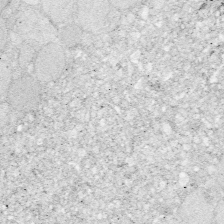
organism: Zebrafish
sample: Whole-Brain